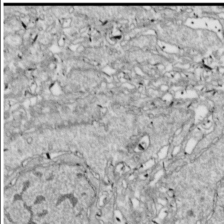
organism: Drosophila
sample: Cell division; meiosis; drosophila spermatocytes